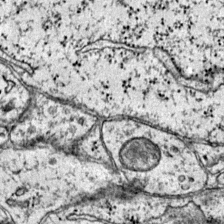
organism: Mouse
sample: Primary visual cortex